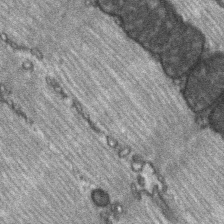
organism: C57BL Mouse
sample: Soleus